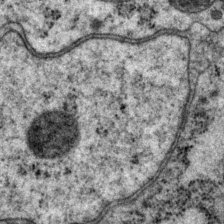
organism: P. pacificus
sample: Pharynx